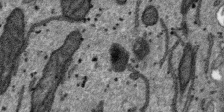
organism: Human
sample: Lung epithelial cells, uninfected (mock) control